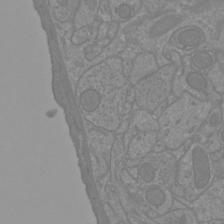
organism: Mouse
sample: Cortical neurons